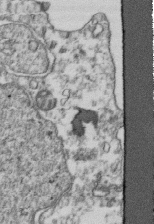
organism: Human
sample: Activated Jurkat CD4+ T cells